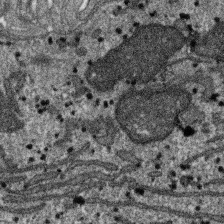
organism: Human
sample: Lung epithelial cells infected with SARS-CoV-2